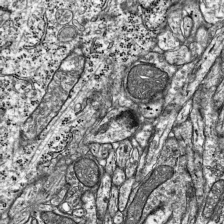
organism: Mouse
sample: Visual Cortex